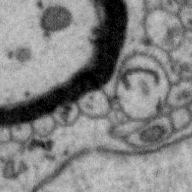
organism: Zebra finch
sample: Brain